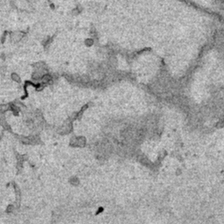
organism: Human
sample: Mitochondria in HCT116 cells